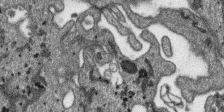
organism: Human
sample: Lung epithelial cells infected with SARS-CoV-2